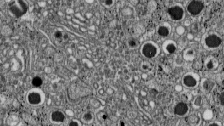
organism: C57BL Mouse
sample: Pancreatic islet